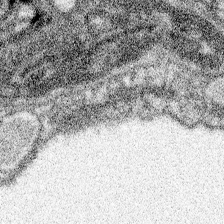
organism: Spongilla lacustris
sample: Neuroid cell